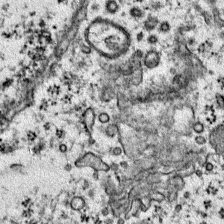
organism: Mouse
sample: Primary visual cortex